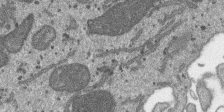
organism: Human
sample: Lung epithelial cells infected with SARS-CoV-2